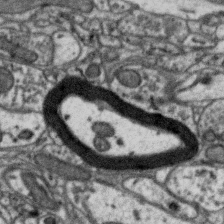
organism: Zebra finch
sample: Brain